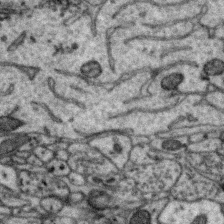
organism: Zebra finch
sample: Brain